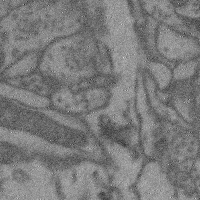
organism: Mouse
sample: Cerebral cortex